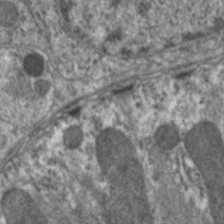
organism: C. elegans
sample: Pharynx